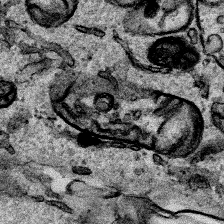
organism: Human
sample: Mitochondria in HCT116 cells